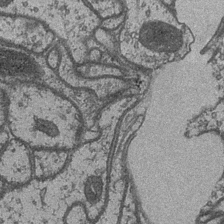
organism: Drosophila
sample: Optic medulla